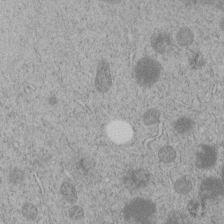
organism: C. elegans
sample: C. elegans embryo early stage